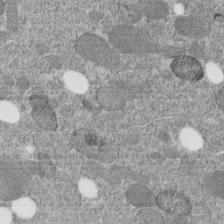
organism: C. elegans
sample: C. elegans embryo early stage